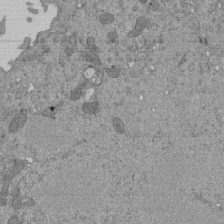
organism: Mouse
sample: ED-1 cell nuclei; centrioles